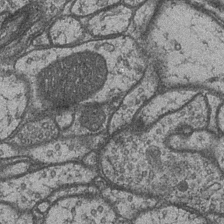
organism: Drosophila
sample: Optic medulla